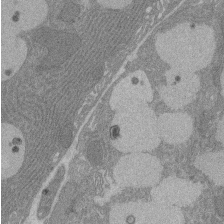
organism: Rat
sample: Salivary granule